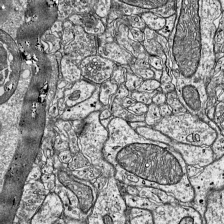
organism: Mouse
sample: Visual Cortex